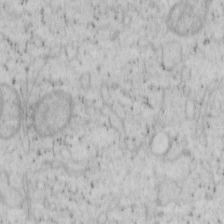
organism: Human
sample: HeLa cells